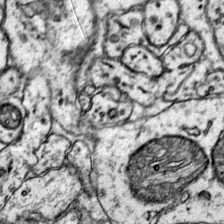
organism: Mouse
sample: Primary visual cortex